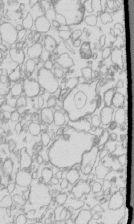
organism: Mouse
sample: Macrophages